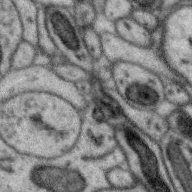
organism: Zebra finch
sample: Brain